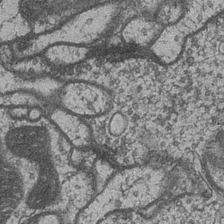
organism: Drosophila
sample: Optic medulla